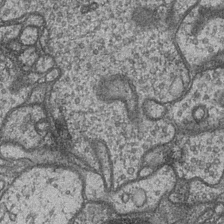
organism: Drosophila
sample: Optic medulla